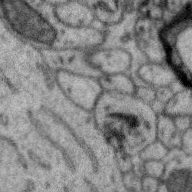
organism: Zebra finch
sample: Brain